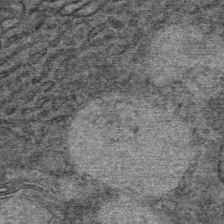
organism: Mouse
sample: Mouse Salivary gland